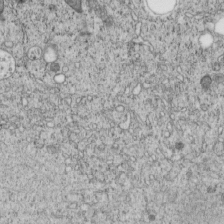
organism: C. elegans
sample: C. elegans embryo early stage